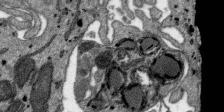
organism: Human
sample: Lung epithelial cells, uninfected (mock) control